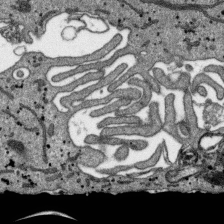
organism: Human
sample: Lung epithelial cells, uninfected (mock) control